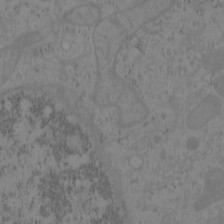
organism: Human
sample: HeLa cells